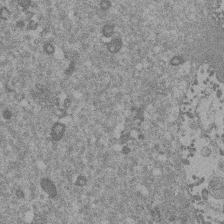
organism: Mouse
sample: Dividing mouse embryo 1 cell stage